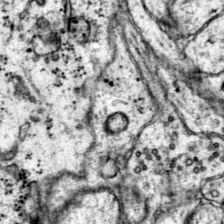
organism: Mouse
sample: Primary visual cortex